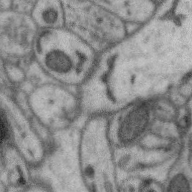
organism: Zebra finch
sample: Brain